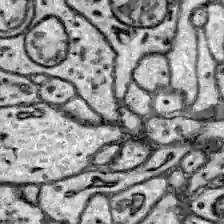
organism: Zebrafish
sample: Brain